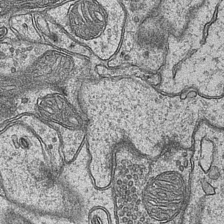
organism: Mouse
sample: CA1 Hippocampus